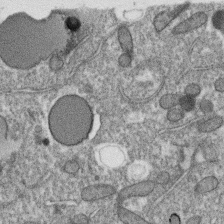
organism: C. elegans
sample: C. elegans oocyte; sperm cells